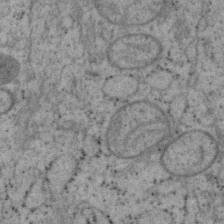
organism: Human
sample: HeLa cells